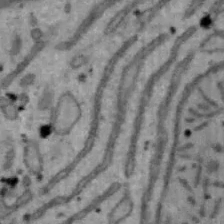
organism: Mouse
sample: Liver